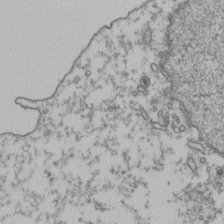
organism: Human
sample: Activated Jurkat CD4+ T cells